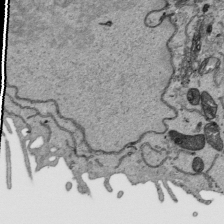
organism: Human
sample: Mitochondria in HCT116 cells